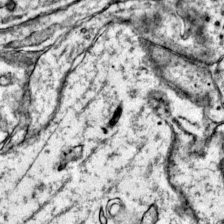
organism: Mouse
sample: Primary visual cortex